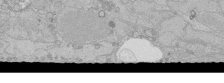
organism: Human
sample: Caco-2 cells